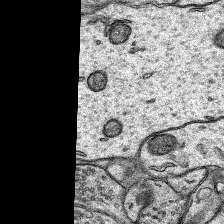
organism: Rat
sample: Hippocampus